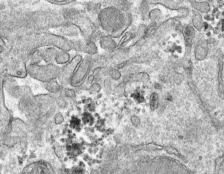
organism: Mouse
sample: Mouse hepatocytes